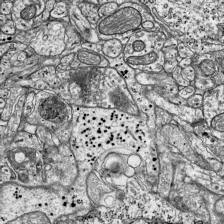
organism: Mouse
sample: Visual Cortex